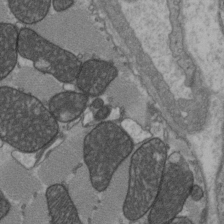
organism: C57BL Mouse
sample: Heart